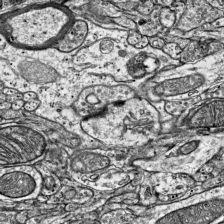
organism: Mouse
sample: Visual Cortex